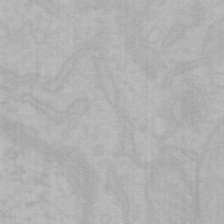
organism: Mouse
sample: Choroid plexus